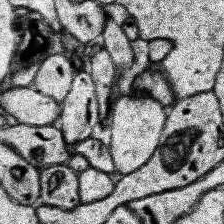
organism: Human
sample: Temporal Lobe